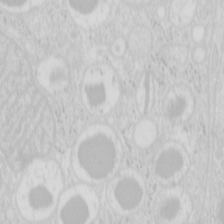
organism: Mouse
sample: Pancreas